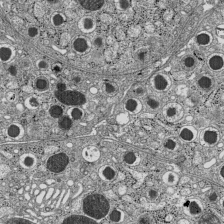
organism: C57BL Mouse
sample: Pancreatic islet